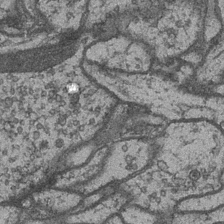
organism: Drosophila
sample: Optic medulla